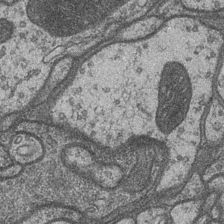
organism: Drosophila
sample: Optic medulla